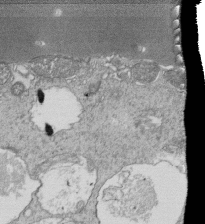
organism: Tetrahymena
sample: Cilia in tetrahymena